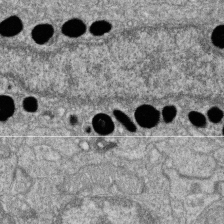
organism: Zebrafish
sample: Cilia; retinal pigment epithelium